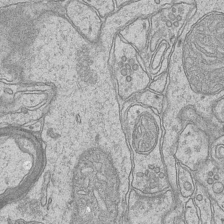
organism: Mouse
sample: CA1 Hippocampus